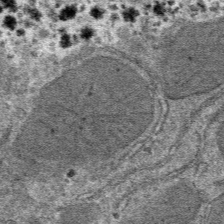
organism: Mouse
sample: Mouse hepatocytes